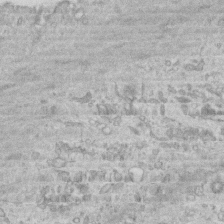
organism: Mouse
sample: Centriole in ependymal cells